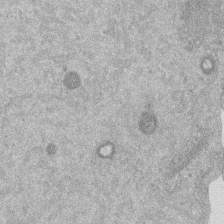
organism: Mouse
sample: Dividing mouse embryo 1 cell stage